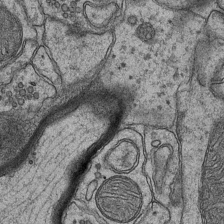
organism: Mouse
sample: CA1 Hippocampus